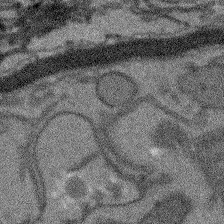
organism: Arabidopsis thaliana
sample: Root tip